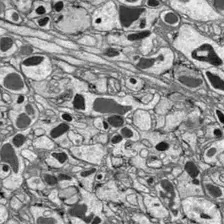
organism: Drosophila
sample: Optic lobe